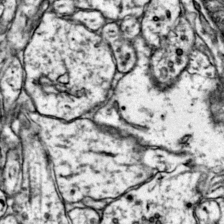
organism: Mouse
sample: Primary visual cortex